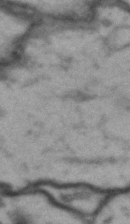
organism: Drosophila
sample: Brain